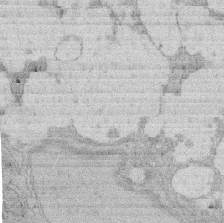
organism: Rat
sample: Salivary granule